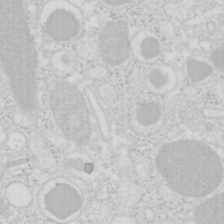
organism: Mouse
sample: Pancreas